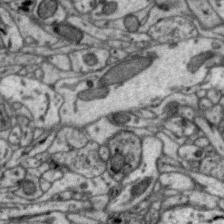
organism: Zebra finch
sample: Brain